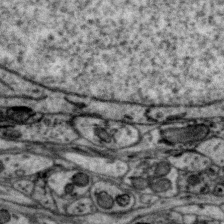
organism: Zebra finch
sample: Brain